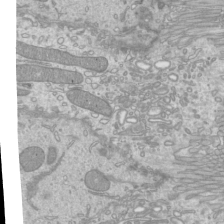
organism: Mouse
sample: Cilia; mouse epididymis